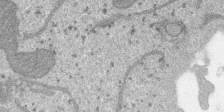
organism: Human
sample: Lung epithelial cells infected with SARS-CoV-2